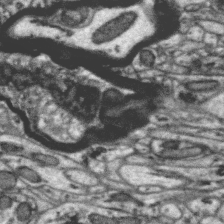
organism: Zebra finch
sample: Brain